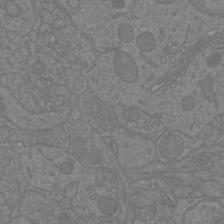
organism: Mouse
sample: Cortical neurons